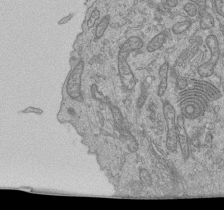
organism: Human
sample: Retinal organoid Rod and Cone cells